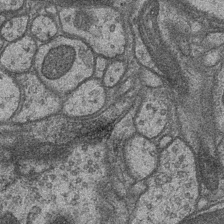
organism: Drosophila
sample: Optic medulla